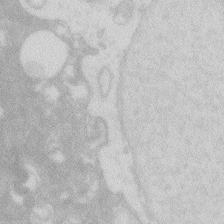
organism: Zebrafish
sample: Macrophage